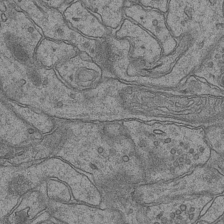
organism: Mouse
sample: CA1 Hippocampus